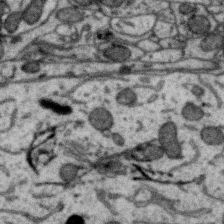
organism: Zebra finch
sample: Brain